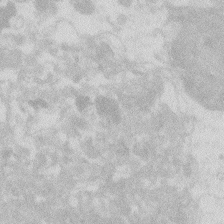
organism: Zebrafish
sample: Macrophage